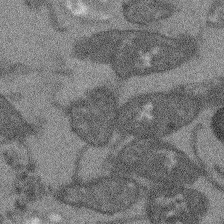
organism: Arabidopsis thaliana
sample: Root tip